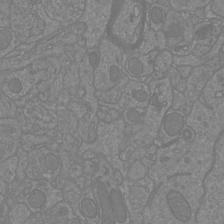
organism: Mouse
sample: Cortical neurons